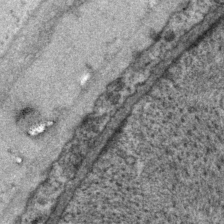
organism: P. pacificus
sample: Pharynx